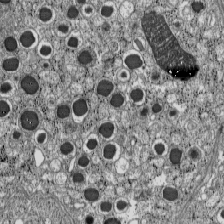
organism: C57BL Mouse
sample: Pancreatic islet